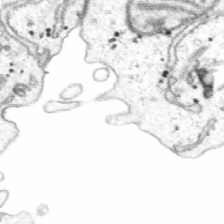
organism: Human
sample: HeLa cells